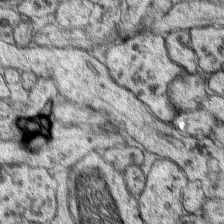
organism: Mouse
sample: Primary visual cortex